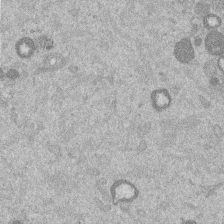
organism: Mouse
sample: Dividing mouse embryo 1 cell stage